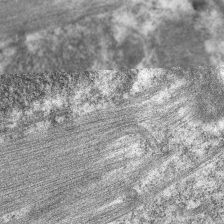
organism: C. elegans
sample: Pharynx